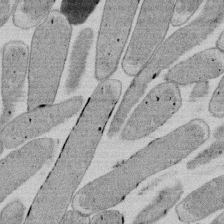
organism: E. coli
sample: Bacterial nucleoid